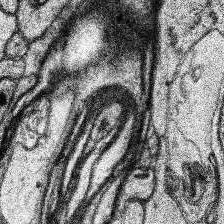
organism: Human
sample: Temporal Lobe